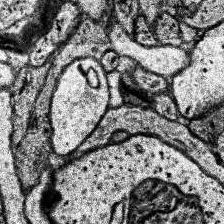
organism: Human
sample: Temporal Lobe